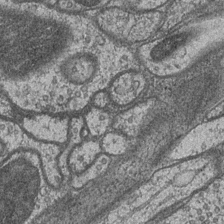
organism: Drosophila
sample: Optic medulla